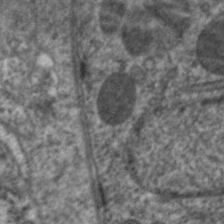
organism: C. elegans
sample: Pharynx